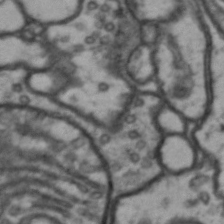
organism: Drosophila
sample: Brain